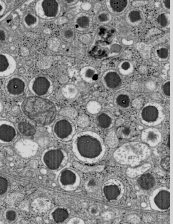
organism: C57BL Mouse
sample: Pancreatic islet